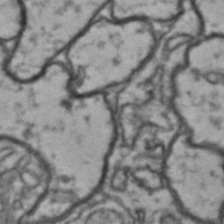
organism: Drosophila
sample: Brain